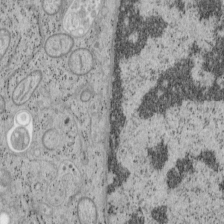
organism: Mouse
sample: OT-I killer T cells with ID8 ovarian cancer cells